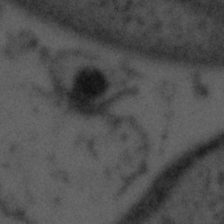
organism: Tuwongella immobilis